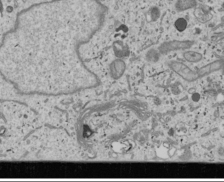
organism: Human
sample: Mitochondria in U2OS cells